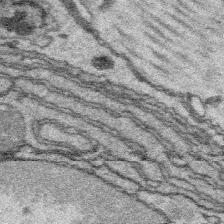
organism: Platynereis dumerilii